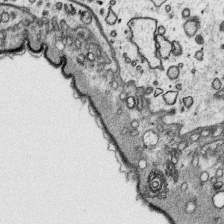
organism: Platynereis dumerilii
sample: Parapodia